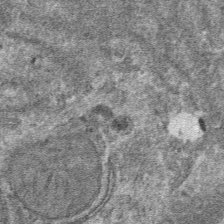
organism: Mouse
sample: Mouse hepatocytes